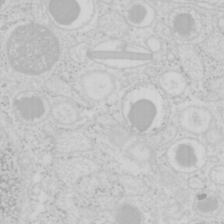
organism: Mouse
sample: Pancreas